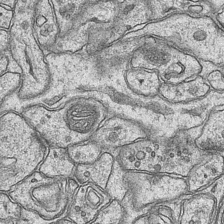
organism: Mouse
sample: CA1 Hippocampus